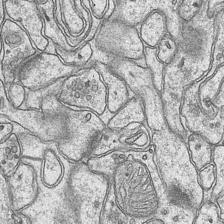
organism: Mouse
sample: CA1 Hippocampus